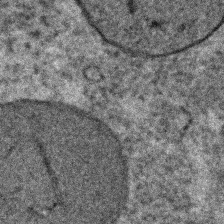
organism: C. elegans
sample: C. elegans embryo